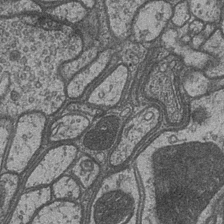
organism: Drosophila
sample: Optic medulla